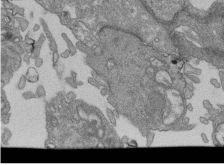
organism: Human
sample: Retinal organoid Rod and Cone cells